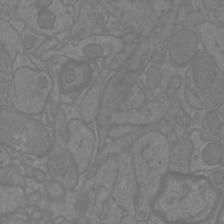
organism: Mouse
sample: Cortical neurons